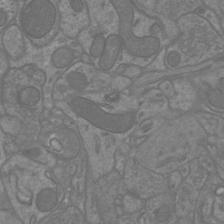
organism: Mouse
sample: Cortical neurons